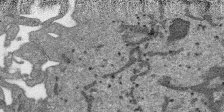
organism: Human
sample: Lung epithelial cells infected with SARS-CoV-2